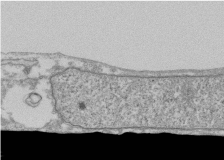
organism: Human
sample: Fibroblast cells